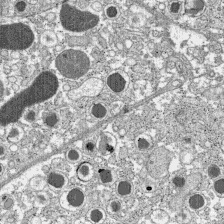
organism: C57BL Mouse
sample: Pancreatic islet